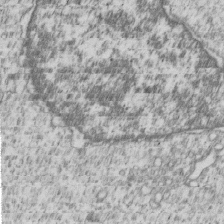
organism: Human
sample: MDA-MB-231 cells